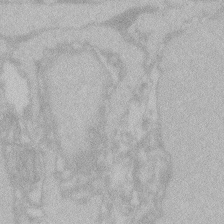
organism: Zebrafish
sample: Macrophage infected with Toxoplasma gondii